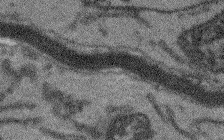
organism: Arabidopsis thaliana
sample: Root tip